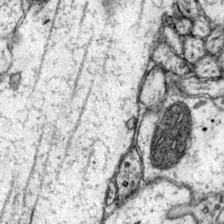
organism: Mouse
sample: Primary visual cortex